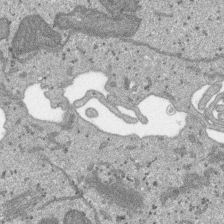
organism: Human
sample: Lung epithelial cells infected with SARS-CoV-2